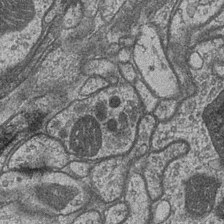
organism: Drosophila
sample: Optic medulla